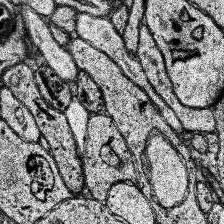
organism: Human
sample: Temporal Lobe